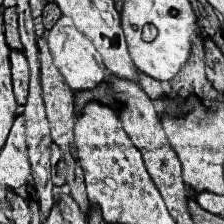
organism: Human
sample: Temporal Lobe